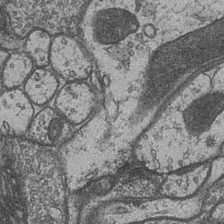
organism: Drosophila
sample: Optic medulla